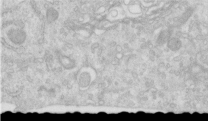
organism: Human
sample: Centriole in RPE cells